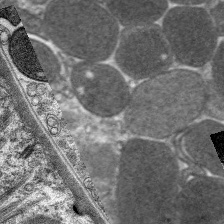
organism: C. elegans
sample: Pharynx